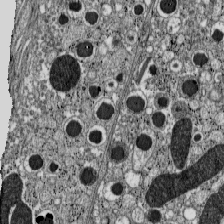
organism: C57BL Mouse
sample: Pancreatic islet